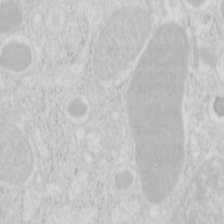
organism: Mouse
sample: Pancreas